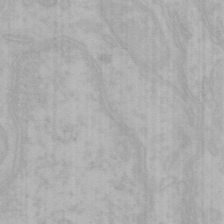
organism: Mouse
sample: Choroid plexus